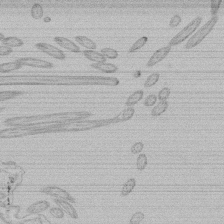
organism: Tetrahymena